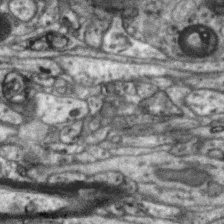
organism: Zebra finch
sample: Brain